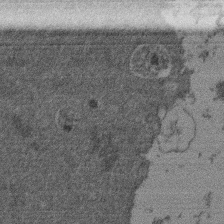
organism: Mouse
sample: Dividing mouse embryo 1 cell stage